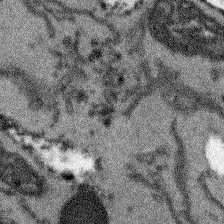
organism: Arabidopsis thaliana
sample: Root tip